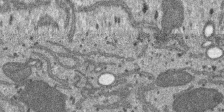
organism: Human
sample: Lung epithelial cells infected with SARS-CoV-2